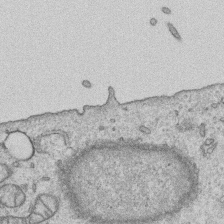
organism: Human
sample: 1205lu cells